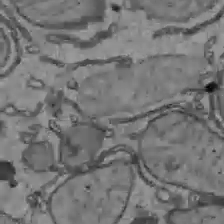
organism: C57BL Mouse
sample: Liver